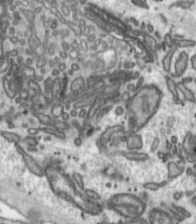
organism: Toxoplasma gondii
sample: Parasites in a vacuole inside a host cell